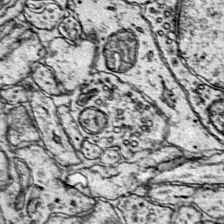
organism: Mouse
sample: Primary visual cortex